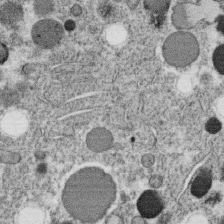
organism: C. elegans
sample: C. elegans oocyte; sperm cells